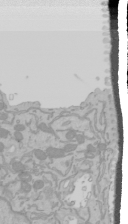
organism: Mouse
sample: Cancer cell death in ED-1 cells